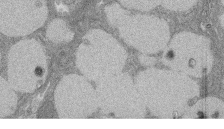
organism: Rat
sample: Salivary granule